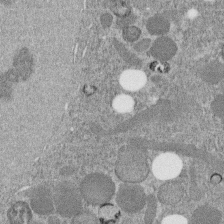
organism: C. elegans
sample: C. elegans embryo early stage